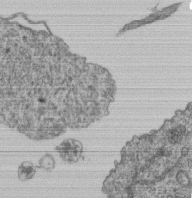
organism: Human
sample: Retinal organoid Rod and Cone cells